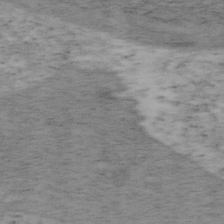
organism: Mouse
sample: OT-I killer T cells with ID8 ovarian cancer cells